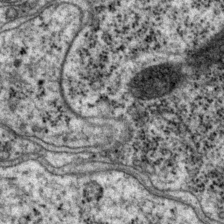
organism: P. pacificus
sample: Pharynx